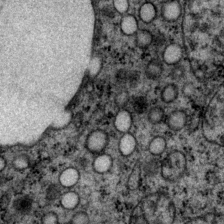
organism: P. pacificus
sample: Pharynx